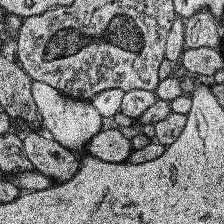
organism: Human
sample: Temporal Lobe